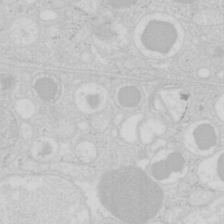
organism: Mouse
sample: Pancreas